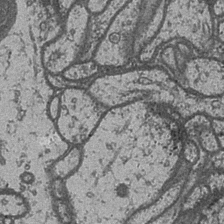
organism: Drosophila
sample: Optic medulla